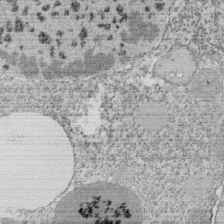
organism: Tetrahymena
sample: Cilia in tetrahymena